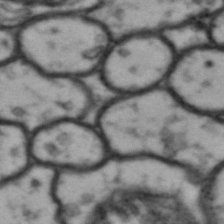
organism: Drosophila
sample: Brain